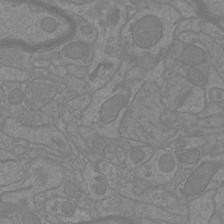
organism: Mouse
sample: Cortical neurons